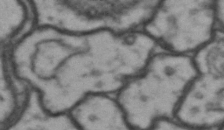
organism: Drosophila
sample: Brain